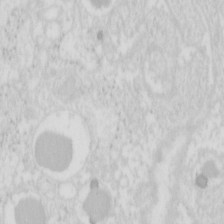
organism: Mouse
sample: Pancreas